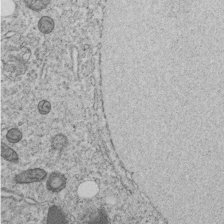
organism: C. elegans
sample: C. elegans embryo early stage